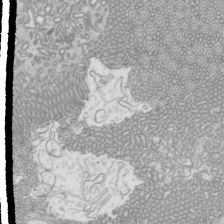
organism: Mouse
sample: Cilia; mouse epididymis